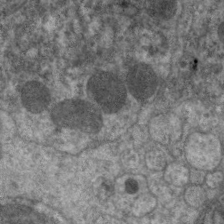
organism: C. elegans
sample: Pharynx